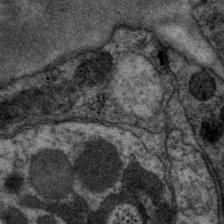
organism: P. pacificus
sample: Pharynx